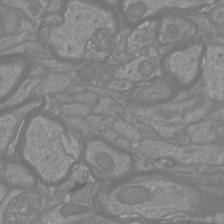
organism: Mouse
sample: Cortical neurons